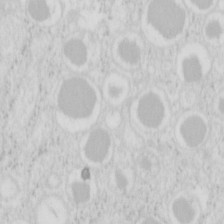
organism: Mouse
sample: Pancreas